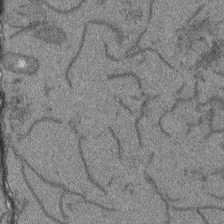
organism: Arabidopsis thaliana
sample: Root tip